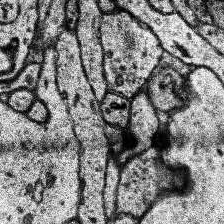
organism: Human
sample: Temporal Lobe